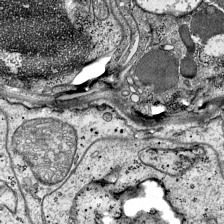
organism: Mouse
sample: Visual Cortex